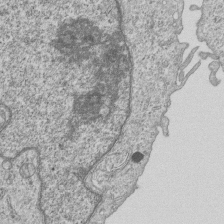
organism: Human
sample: MDA-MB-231 cells